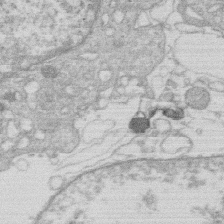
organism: Human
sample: Macrophage cells